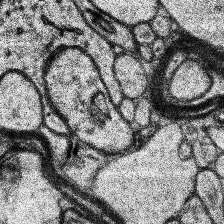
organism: Human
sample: Temporal Lobe